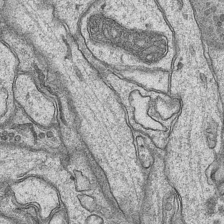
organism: Mouse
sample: CA1 Hippocampus